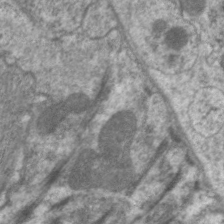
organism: C. elegans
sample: Pharynx